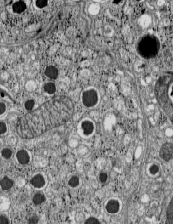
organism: C57BL Mouse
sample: Pancreatic islet